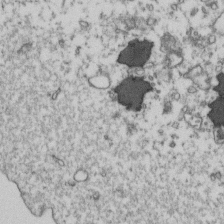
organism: Human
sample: Activated Jurkat CD4+ T cells